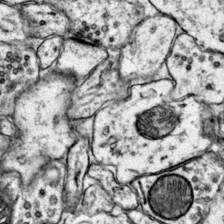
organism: Mouse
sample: Primary visual cortex